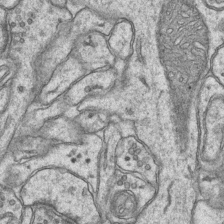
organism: Mouse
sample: CA1 Hippocampus